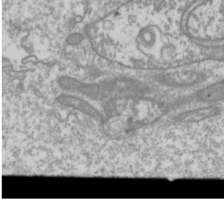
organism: Drosophila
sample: Cell division; meiosis; drosophila spermatocytes